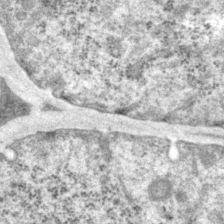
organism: P. pacificus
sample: Pharynx